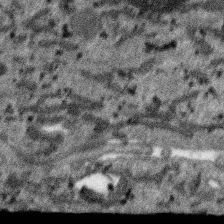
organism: Human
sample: Lung epithelial cells infected with SARS-CoV-2